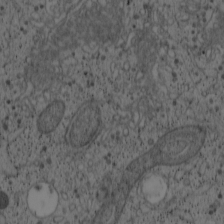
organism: African green monkey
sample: COS-7 cells